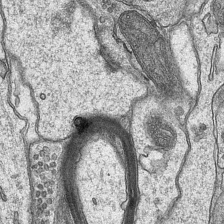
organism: Mouse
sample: CA1 Hippocampus